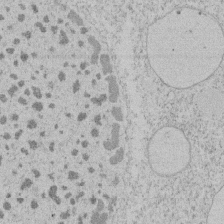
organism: Tetrahymena